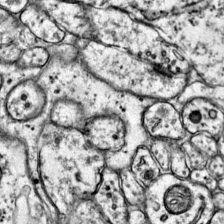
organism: Mouse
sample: Primary visual cortex